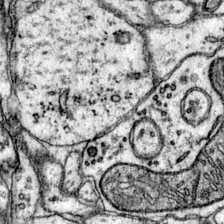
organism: Mouse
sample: Primary visual cortex